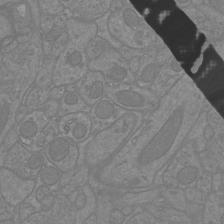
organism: Mouse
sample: Cortical neurons